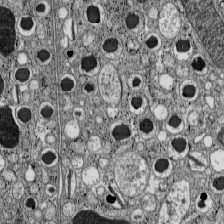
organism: C57BL Mouse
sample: Pancreatic islet